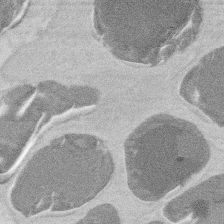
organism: Mouse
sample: T cell stromal cell synapse